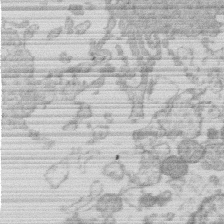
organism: Human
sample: Macrophage cells